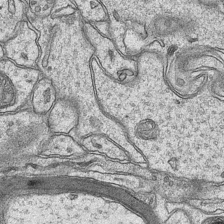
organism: Mouse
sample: CA1 Hippocampus